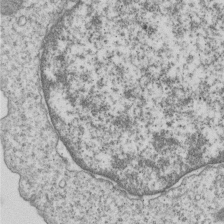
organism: Human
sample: MDA-MB-231 cells